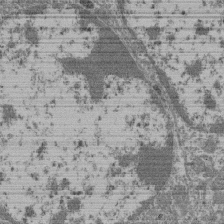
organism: Mouse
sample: Glomerulus